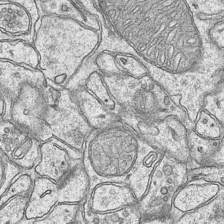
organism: Mouse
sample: CA1 Hippocampus